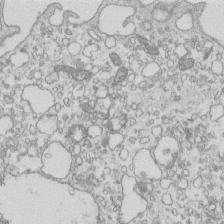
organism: Mouse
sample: Macrophages